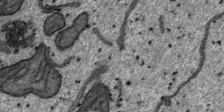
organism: Human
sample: Lung epithelial cells, uninfected (mock) control